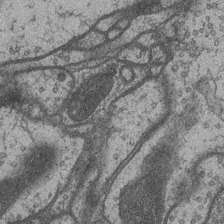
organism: Drosophila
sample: Optic medulla